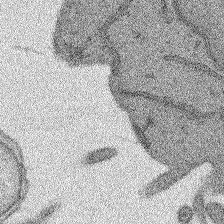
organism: Human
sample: HeLa cells